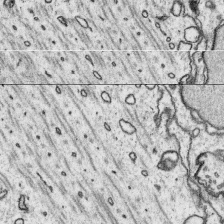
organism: Platynereis dumerilii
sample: Parapodia